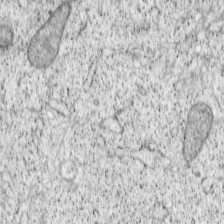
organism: African green monkey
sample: COS-7 cells